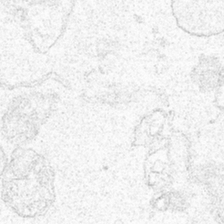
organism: Human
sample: Mitochondria in HCT116 cells